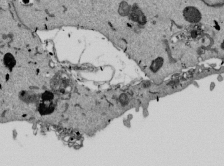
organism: Mouse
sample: ED-1 cell nuclei; centrioles